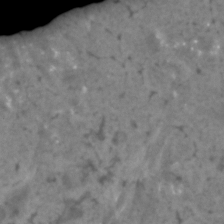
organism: Human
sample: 1205lu cells